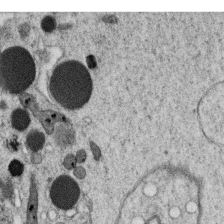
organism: C. elegans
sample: C. elegans oocyte; sperm cells